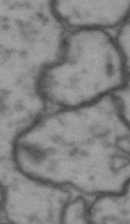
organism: Drosophila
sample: Brain